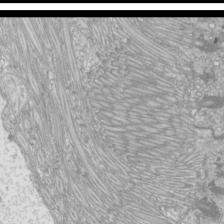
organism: Mouse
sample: Cilia; mouse epididymis